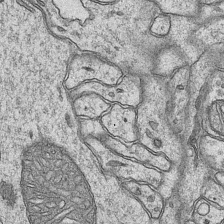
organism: Mouse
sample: CA1 Hippocampus